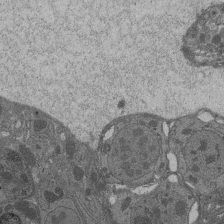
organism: Drosophila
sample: Antenna